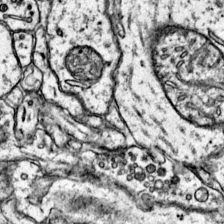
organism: Mouse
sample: Primary visual cortex